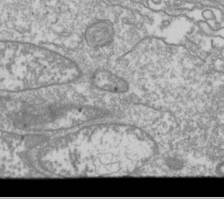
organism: Drosophila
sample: Cell division; meiosis; drosophila spermatocytes